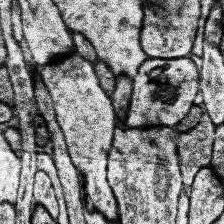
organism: Human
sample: Temporal Lobe